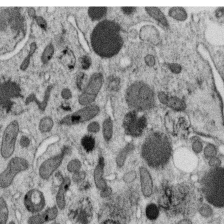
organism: C. elegans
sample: C. elegans oocyte; sperm cells